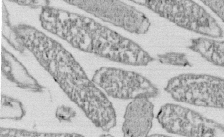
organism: E. coli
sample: Bacterial nucleoid